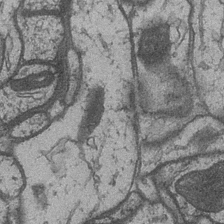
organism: Drosophila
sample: Optic medulla